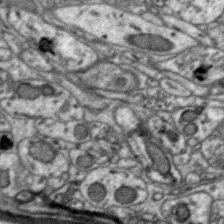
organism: Zebra finch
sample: Brain